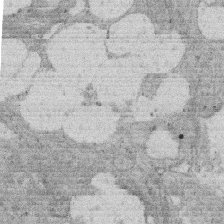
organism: Rat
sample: Salivary granule